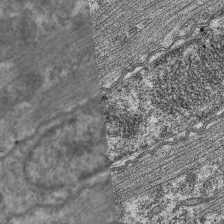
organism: C. elegans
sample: Pharynx